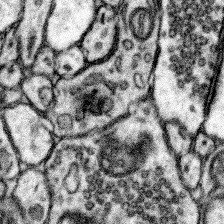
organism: Mouse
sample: Somatosensory cortex neuropil